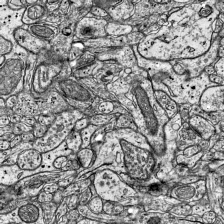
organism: Mouse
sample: Visual Cortex